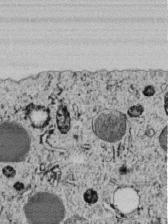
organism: C. elegans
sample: C. elegans embryo early stage